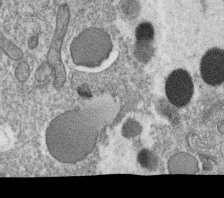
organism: C. elegans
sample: C. elegans oocyte; sperm cells